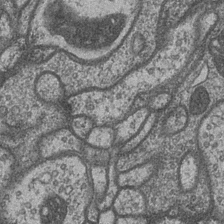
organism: Drosophila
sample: Optic medulla